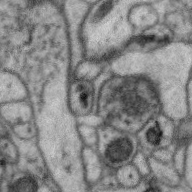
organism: Zebra finch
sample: Brain